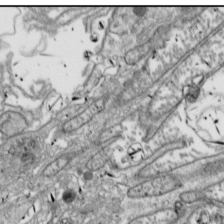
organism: Drosophila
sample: Cell division; meiosis; drosophila spermatocytes